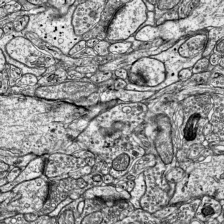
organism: Mouse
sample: Visual Cortex